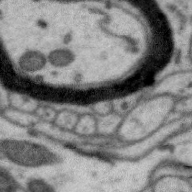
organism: Zebra finch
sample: Brain